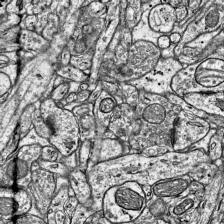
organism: Mouse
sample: Visual Cortex